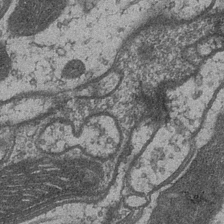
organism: Drosophila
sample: Optic medulla